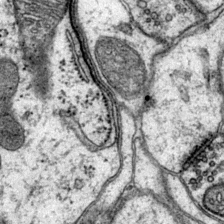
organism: Mouse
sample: Primary visual cortex